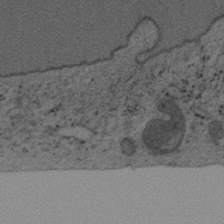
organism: Human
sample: HeLa cells